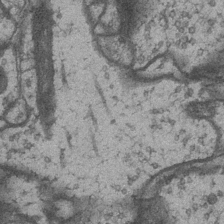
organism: Drosophila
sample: Optic medulla